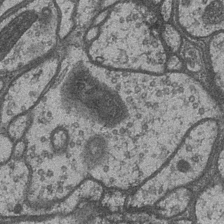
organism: Drosophila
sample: Optic medulla